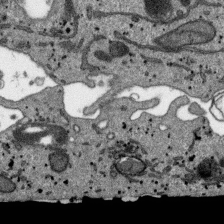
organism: Human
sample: Lung epithelial cells, uninfected (mock) control